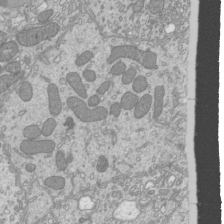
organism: Mouse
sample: Cilia; mouse epididymis